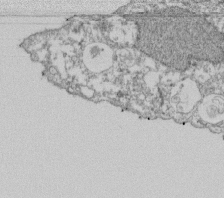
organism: Dictyostelium discoideum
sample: Dictyostelium multivesicular bodies